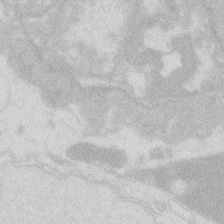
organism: Zebrafish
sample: Macrophage